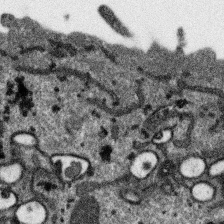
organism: Human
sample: Lung epithelial cells infected with SARS-CoV-2